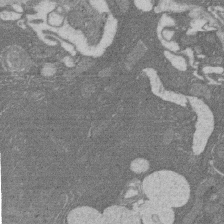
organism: Rat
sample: Salivary granule